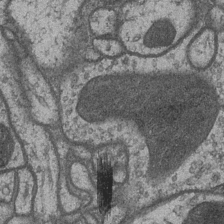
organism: Drosophila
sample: Optic medulla